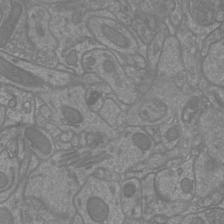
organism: Mouse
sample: Cortical neurons